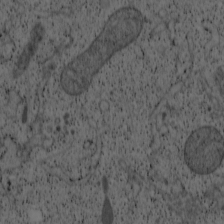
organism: African green monkey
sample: COS-7 cells